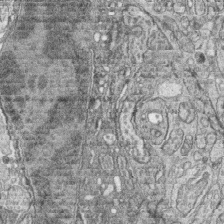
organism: Zebrafish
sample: synaptic ribbons in rod cells and cone cells